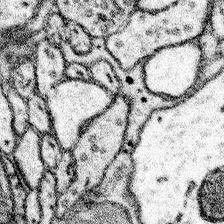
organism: Mouse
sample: Somatosensory cortex neuropil